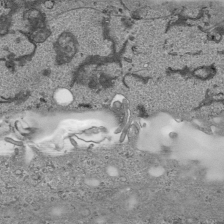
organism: Human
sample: Mitochondria in HCT116 cells